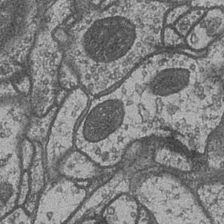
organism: Drosophila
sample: Optic medulla